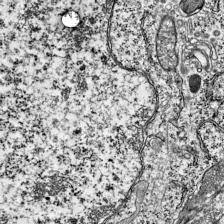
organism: Mouse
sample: Visual Cortex